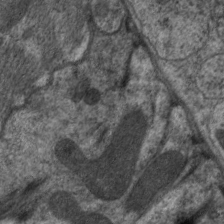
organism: C. elegans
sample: Pharynx